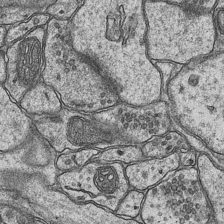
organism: Mouse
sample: CA1 Hippocampus